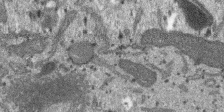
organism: Human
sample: Lung epithelial cells infected with SARS-CoV-2